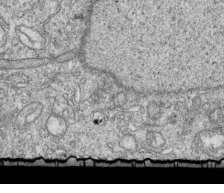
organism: Human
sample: HeLa cell HIV synapse